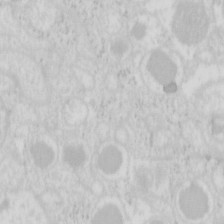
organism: Mouse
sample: Pancreas